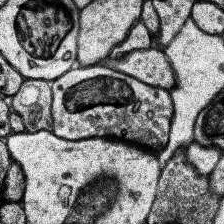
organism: Human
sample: Temporal Lobe